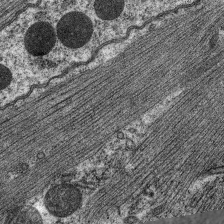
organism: C. elegans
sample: Pharynx